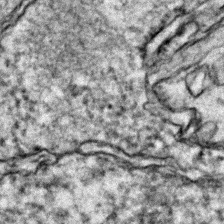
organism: Zebrafish